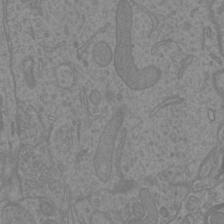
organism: Mouse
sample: Cortical neurons